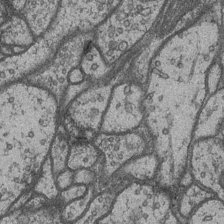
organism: Drosophila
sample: Optic medulla